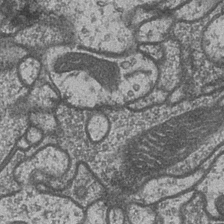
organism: Drosophila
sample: Optic medulla